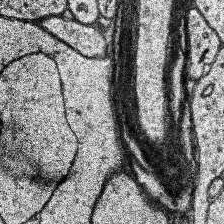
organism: Human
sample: Temporal Lobe